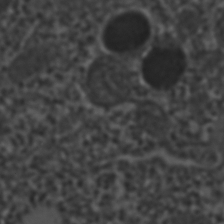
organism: C. elegans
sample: C. elegans embryo